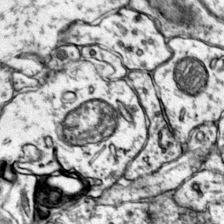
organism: Mouse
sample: Primary visual cortex